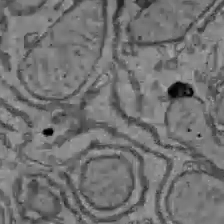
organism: C57BL Mouse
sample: Liver